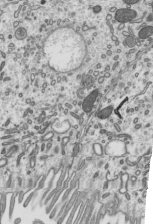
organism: Mouse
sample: Mouse epididymis efferent ductule cilia